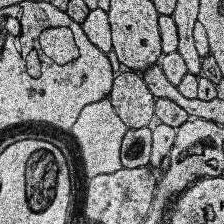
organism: Human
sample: Temporal Lobe